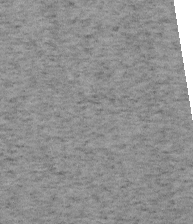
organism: Mouse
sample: OT-I killer T cells with ID8 ovarian cancer cells